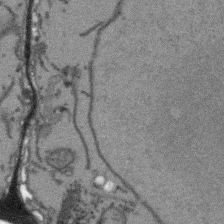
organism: Arabidopsis thaliana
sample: Root tip